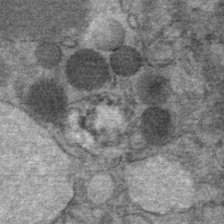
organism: Mouse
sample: Mouse Salivary gland